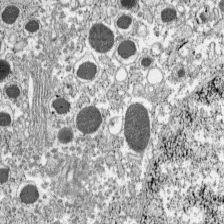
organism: C57BL Mouse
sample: Pancreatic islet